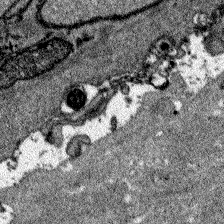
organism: Zebrafish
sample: Larval olfactory bulb